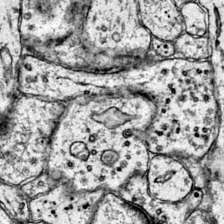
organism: Mouse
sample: Primary visual cortex